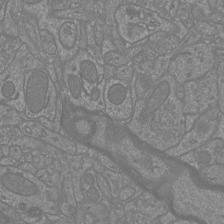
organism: Mouse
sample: Cortical neurons